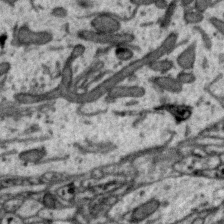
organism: Zebra finch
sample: Brain